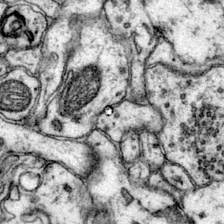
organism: Mouse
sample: Primary visual cortex